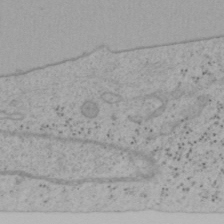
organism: Human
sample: HeLa cells